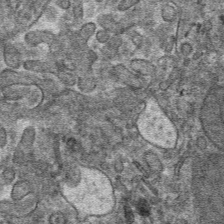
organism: Mouse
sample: Mouse hepatocytes